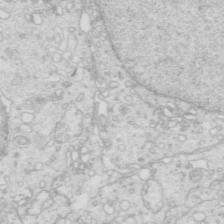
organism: Mouse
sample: Multiciliated cells